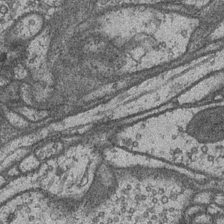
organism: Drosophila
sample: Optic medulla